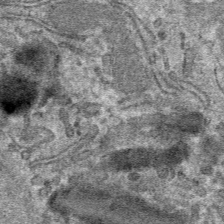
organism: Mouse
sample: Mouse hepatocytes